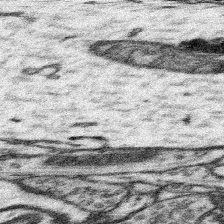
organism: Mouse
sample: Somatosensory cortex neuropil